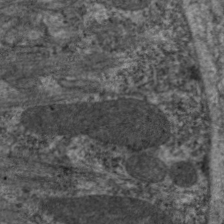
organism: C. elegans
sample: Pharynx